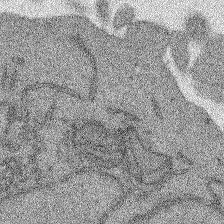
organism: Human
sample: HeLa cells